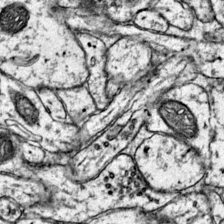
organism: Mouse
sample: Primary visual cortex